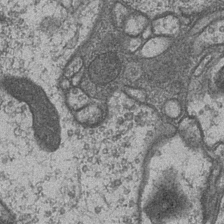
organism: Drosophila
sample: Optic medulla